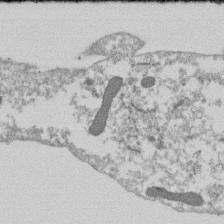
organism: Dictyostelium discoideum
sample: Dictyostelium multivesicular bodies